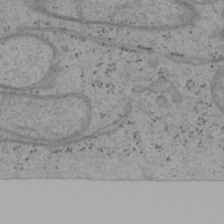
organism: Human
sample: HeLa cells